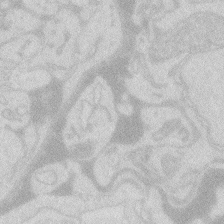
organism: Zebrafish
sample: Macrophage